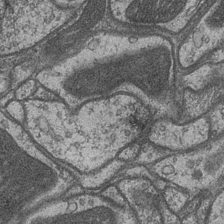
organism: Drosophila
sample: Optic medulla